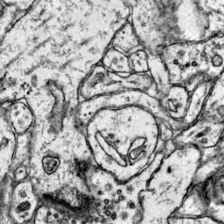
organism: Mouse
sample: Primary visual cortex